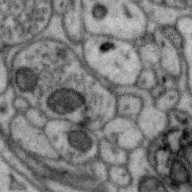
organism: Zebra finch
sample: Brain